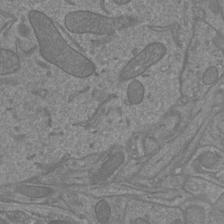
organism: Mouse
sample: Cortical neurons